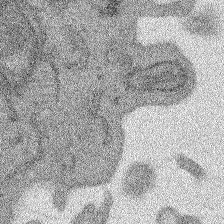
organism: Human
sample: HeLa cells